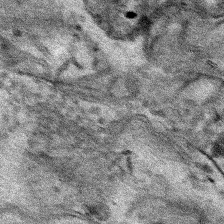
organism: Human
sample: Mitochondria in HCT116 cells